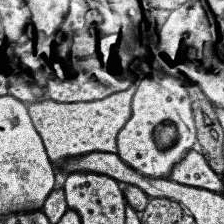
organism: Human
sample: Temporal Lobe